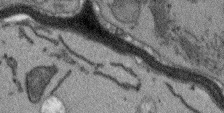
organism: Arabidopsis thaliana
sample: Root tip